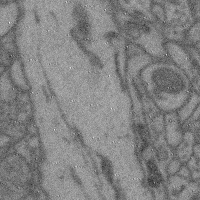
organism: Mouse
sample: Cerebral cortex